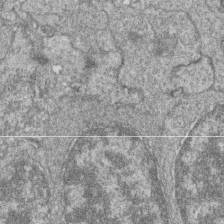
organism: Zebrafish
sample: Cilia; retinal pigment epithelium